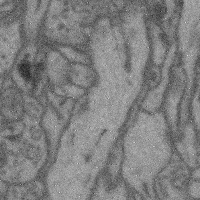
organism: Mouse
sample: Cerebral cortex